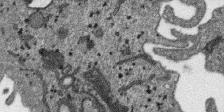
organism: Human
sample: Lung epithelial cells infected with SARS-CoV-2